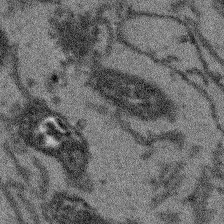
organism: Arabidopsis thaliana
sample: Root tip